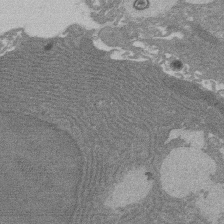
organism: Rat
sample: Salivary granule